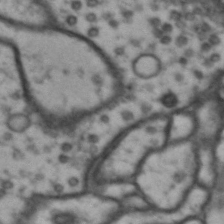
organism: Drosophila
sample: Brain